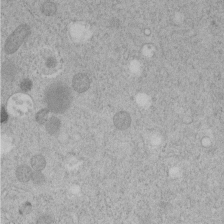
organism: C. elegans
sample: C. elegans embryo early stage